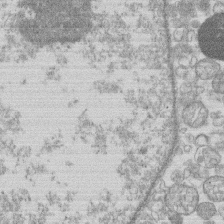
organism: Human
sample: Macrophage cells